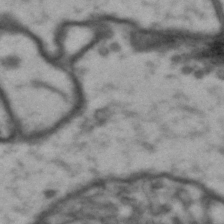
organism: Drosophila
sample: Brain